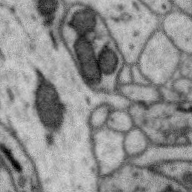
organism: Zebra finch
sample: Brain